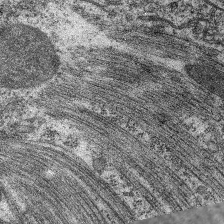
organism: C. elegans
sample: Pharynx